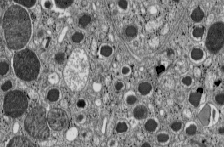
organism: C57BL Mouse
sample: Pancreatic islet